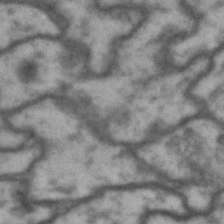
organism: Drosophila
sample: Brain